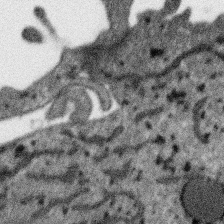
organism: Human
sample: Lung epithelial cells infected with SARS-CoV-2